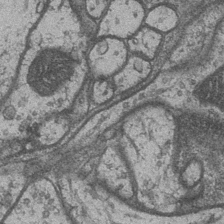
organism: Drosophila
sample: Optic medulla